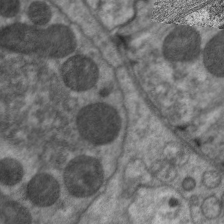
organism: C. elegans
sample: Pharynx